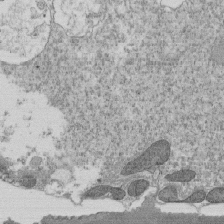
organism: Tetrahymena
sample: Cilia in tetrahymena